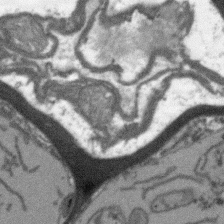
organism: Arabidopsis thaliana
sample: Root tip